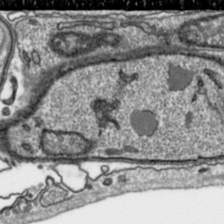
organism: Toxoplasma gondii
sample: Parasites in a vacuole inside a host cell